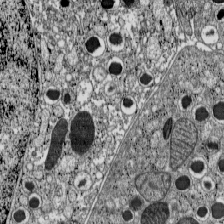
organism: C57BL Mouse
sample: Pancreatic islet